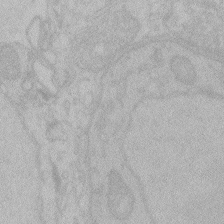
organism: Zebrafish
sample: Macrophage infected with Toxoplasma gondii